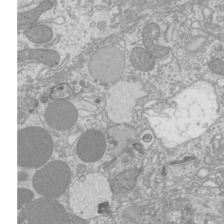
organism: Mouse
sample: Cilia; mouse epididymis